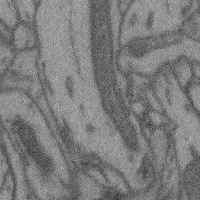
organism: Mouse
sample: Cerebral cortex